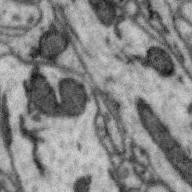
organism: Zebra finch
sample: Brain